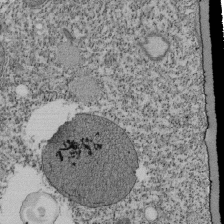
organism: Tetrahymena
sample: Cilia in tetrahymena